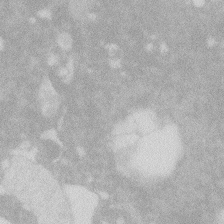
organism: Zebrafish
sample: Macrophage